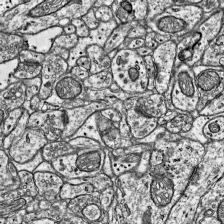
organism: Mouse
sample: Visual Cortex